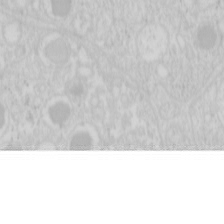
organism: Mouse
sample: Pancreas